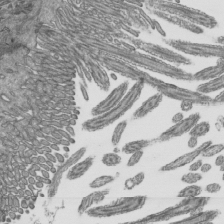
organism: Mouse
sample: Mouse epididymis efferent ductule cilia